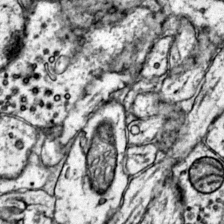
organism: Mouse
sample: Primary visual cortex